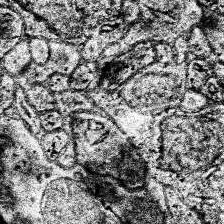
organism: Human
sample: Temporal Lobe